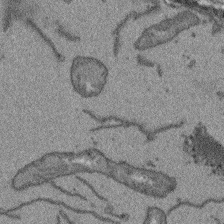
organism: Arabidopsis thaliana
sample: Root tip